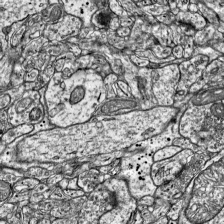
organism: Mouse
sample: Visual Cortex